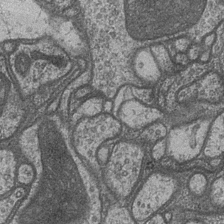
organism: Drosophila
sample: Optic medulla